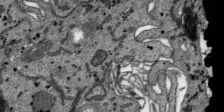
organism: Human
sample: Lung epithelial cells, uninfected (mock) control